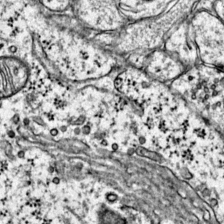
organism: Mouse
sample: Primary visual cortex